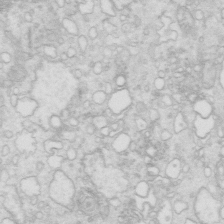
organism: Mouse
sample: Multiciliated cells